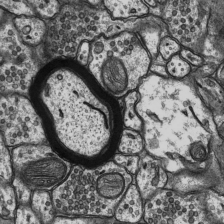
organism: Rat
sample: Hippocampus